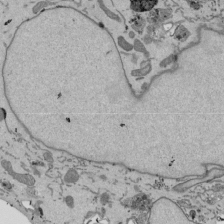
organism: Mouse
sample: ED-1 cell nuclei; centrioles